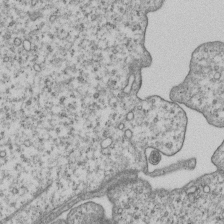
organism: Human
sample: MDA-MB-231 cells